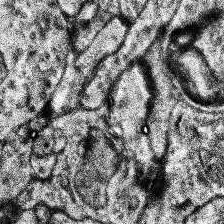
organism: Human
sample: Temporal Lobe